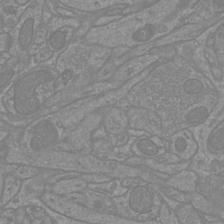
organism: Mouse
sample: Cortical neurons